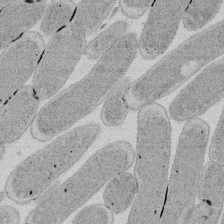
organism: E. coli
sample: Bacterial nucleoid